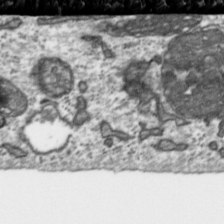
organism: Toxoplasma gondii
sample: Parasites in a vacuole inside a host cell